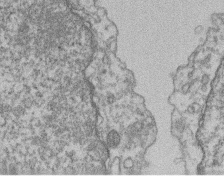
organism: Mouse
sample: T cell stromal cell synapse